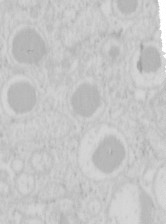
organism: Mouse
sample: Pancreas